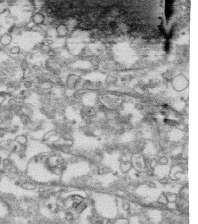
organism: Human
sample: CRL-1474